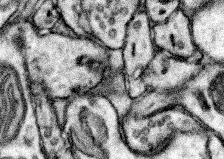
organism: Mouse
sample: Somatosensory cortex neuropil